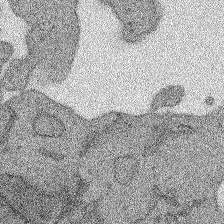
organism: Human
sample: HeLa cells